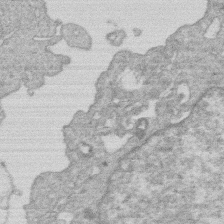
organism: Human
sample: Macrophage cells